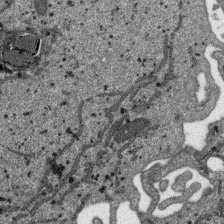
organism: Human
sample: Lung epithelial cells infected with SARS-CoV-2